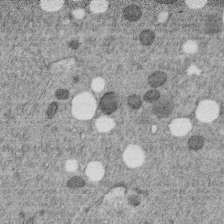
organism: C. elegans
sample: C. elegans embryo early stage